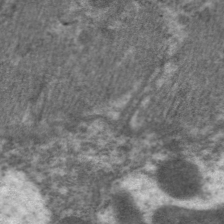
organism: C. elegans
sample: Pharynx